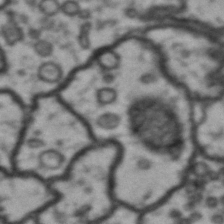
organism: Drosophila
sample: Brain